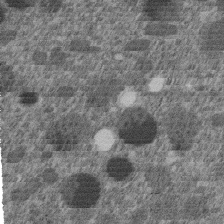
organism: C. elegans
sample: C. elegans embryo early stage